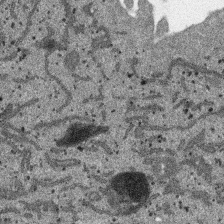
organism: Human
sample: Lung epithelial cells infected with SARS-CoV-2